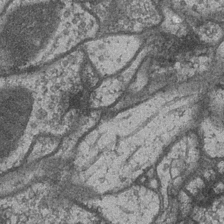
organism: Drosophila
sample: Optic medulla